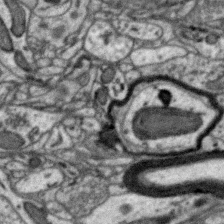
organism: Zebra finch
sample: Brain